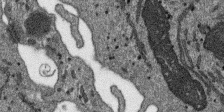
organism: Human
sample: Lung epithelial cells infected with SARS-CoV-2